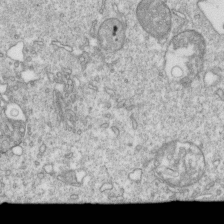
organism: Mouse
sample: Activated OT-1 CD8+ T cells